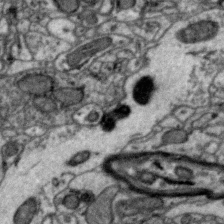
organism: Zebra finch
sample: Brain